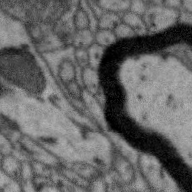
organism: Zebra finch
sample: Brain